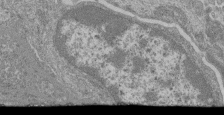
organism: Mouse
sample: Glomerulus